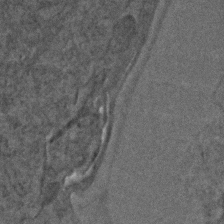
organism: C. elegans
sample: C. elegans embryo